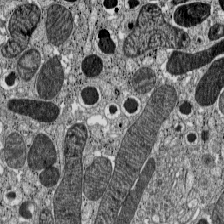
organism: C57BL Mouse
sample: Pancreatic islet